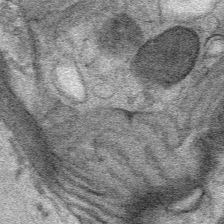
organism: Mouse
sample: Mouse Salivary gland